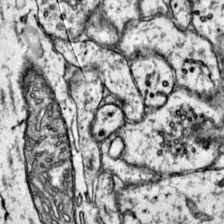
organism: Mouse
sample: Primary visual cortex